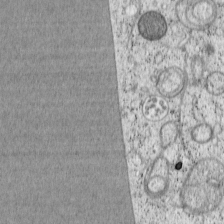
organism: African green monkey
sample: COS-7 cells